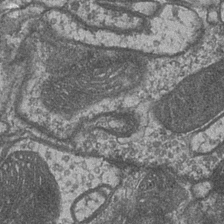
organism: Drosophila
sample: Optic medulla